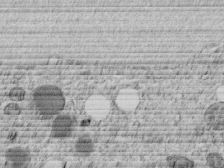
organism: C. elegans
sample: C. elegans embryo early stage